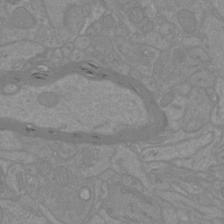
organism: Mouse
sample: Cortical neurons